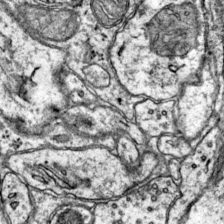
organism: Mouse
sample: Primary visual cortex